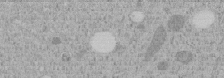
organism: C. elegans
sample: C. elegans embryo early stage